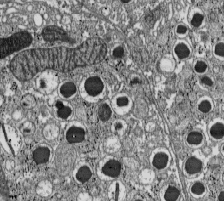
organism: C57BL Mouse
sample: Pancreatic islet